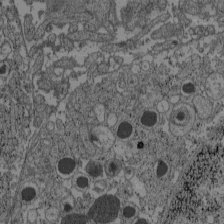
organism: C57BL Mouse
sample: Pancreatic islet